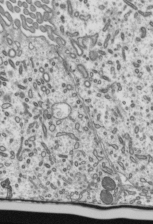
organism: Mouse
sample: Mouse epididymis efferent ductule cilia